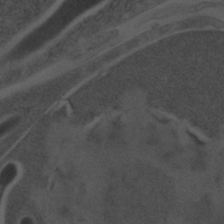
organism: C. elegans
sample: C. elegans embryo